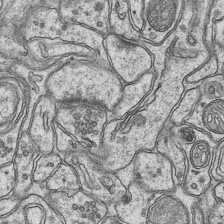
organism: Mouse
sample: CA1 Hippocampus